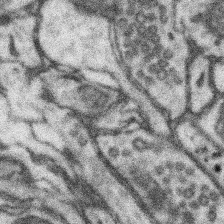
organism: Mouse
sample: Somatosensory cortex neuropil